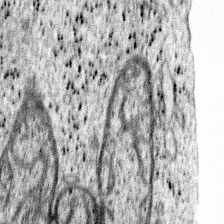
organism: Human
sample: HeLa cells